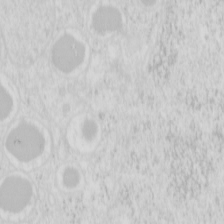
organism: Mouse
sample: Pancreas